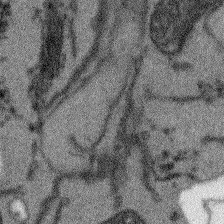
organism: Arabidopsis thaliana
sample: Root tip